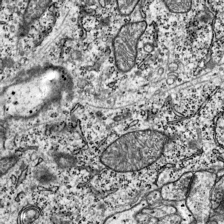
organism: Mouse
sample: Visual Cortex